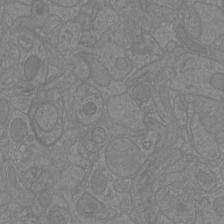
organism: Mouse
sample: Cortical neurons